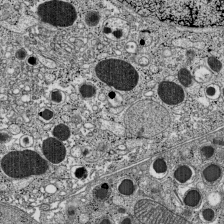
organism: C57BL Mouse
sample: Pancreatic islet